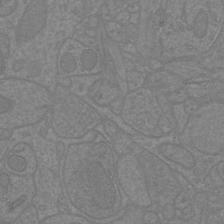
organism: Mouse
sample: Cortical neurons